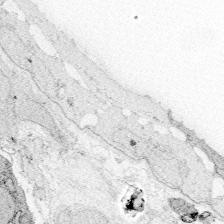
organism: Zebrafish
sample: Whole-Brain